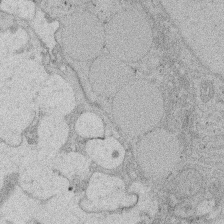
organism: Rat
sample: Salivary granule